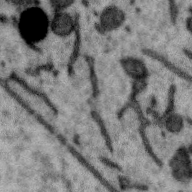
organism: Zebra finch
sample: Brain